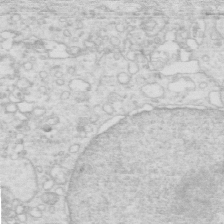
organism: Mouse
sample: Multiciliated cells